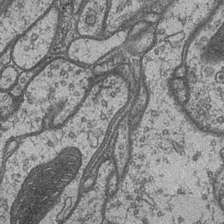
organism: Drosophila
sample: Optic medulla